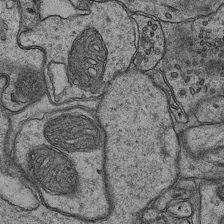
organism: Mouse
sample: CA1 Hippocampus